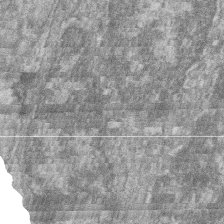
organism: Zebrafish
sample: Cilia; retinal pigment epithelium